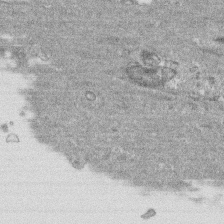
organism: Human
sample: CRL-1474